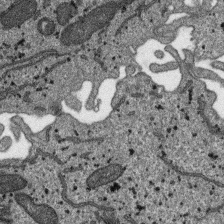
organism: Human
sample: Lung epithelial cells infected with SARS-CoV-2